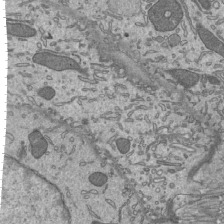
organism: Mouse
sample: Mouse epididymis efferent ductule cilia